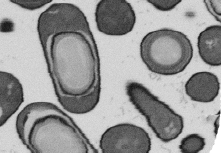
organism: B. subtilis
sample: Bacterial spore